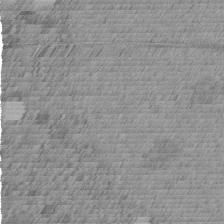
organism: C. elegans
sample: C. elegans embryo early stage